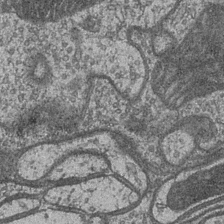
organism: Drosophila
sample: Optic medulla